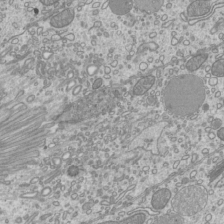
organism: Mouse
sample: Cilia; mouse epididymis